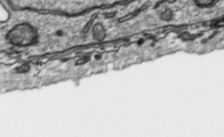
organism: Toxoplasma gondii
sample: Parasites in a vacuole inside a host cell